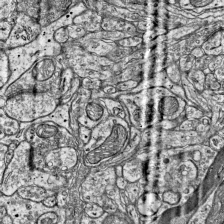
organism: Mouse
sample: Visual Cortex